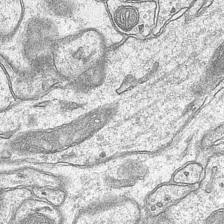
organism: Mouse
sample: CA1 Hippocampus